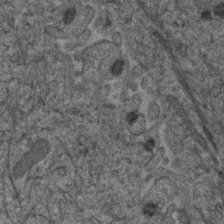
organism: Human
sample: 1205lu cells